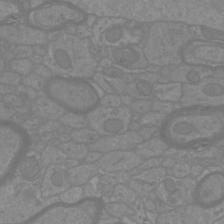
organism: Mouse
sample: Cortical neurons